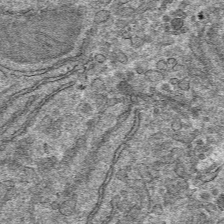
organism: Mouse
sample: Mouse hepatocytes